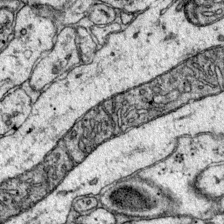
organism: Mouse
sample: Primary visual cortex